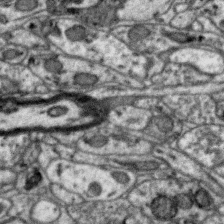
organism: Zebra finch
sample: Brain